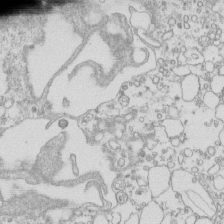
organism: Mouse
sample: Macrophages